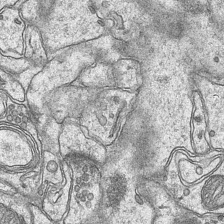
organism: Mouse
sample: CA1 Hippocampus